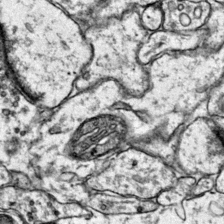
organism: Mouse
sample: Primary visual cortex